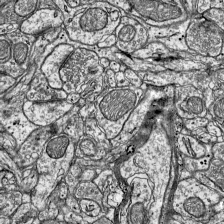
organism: Mouse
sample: Visual Cortex